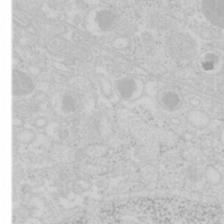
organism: Mouse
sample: Pancreas